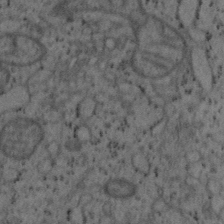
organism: Human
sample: HeLa cells